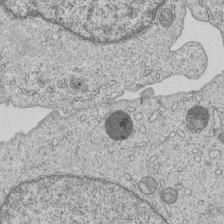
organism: Human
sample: MDA-MB-231 cells